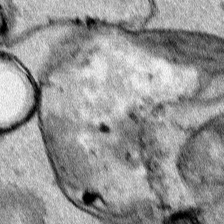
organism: Human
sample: Mitochondria in HCT116 cells